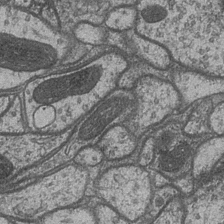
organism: Drosophila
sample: Optic medulla